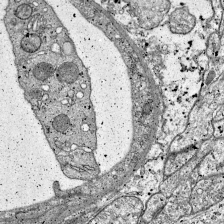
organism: Mouse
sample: Visual Cortex